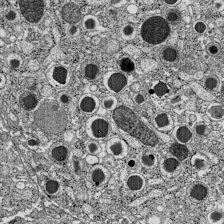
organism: C57BL Mouse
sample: Pancreatic islet